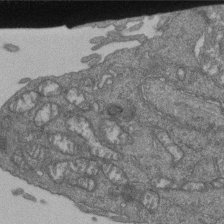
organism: Human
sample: Retinal organoid Rod and Cone cells